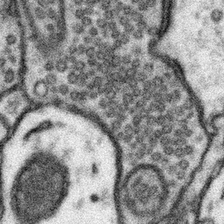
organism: Mouse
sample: Somatosensory cortex neuropil